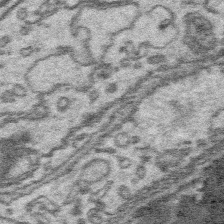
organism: Platynereis dumerilii